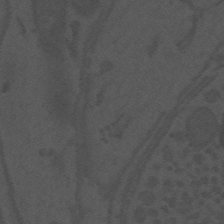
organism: Mouse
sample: Suprachiasmatic nucleus